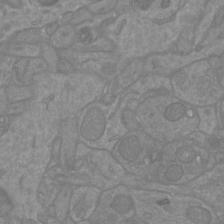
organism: Mouse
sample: Cortical neurons